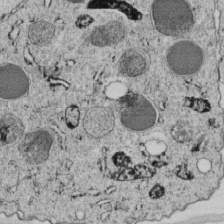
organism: C. elegans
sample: C. elegans embryo early stage